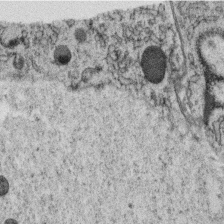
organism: C. elegans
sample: C. elegans oocyte; sperm cells